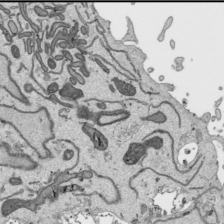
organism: Human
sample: Mitochondria in HCT116 cells